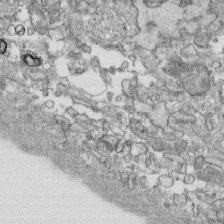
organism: Human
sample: CRL-1474